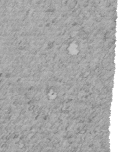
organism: C. elegans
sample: C. elegans embryo early stage